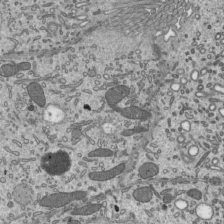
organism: Mouse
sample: Mouse epididymis efferent ductule cilia